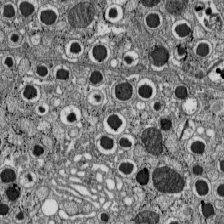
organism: C57BL Mouse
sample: Pancreatic islet